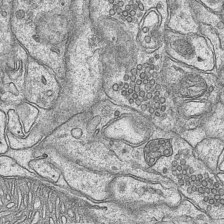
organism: Mouse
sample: CA1 Hippocampus